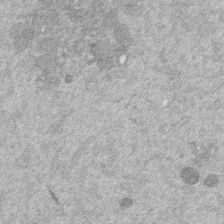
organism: Mouse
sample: Dividing mouse embryo 1 cell stage